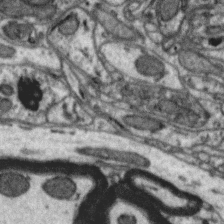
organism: Zebra finch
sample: Brain